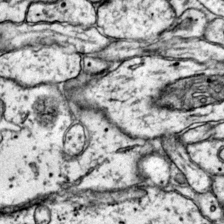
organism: Mouse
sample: Primary visual cortex